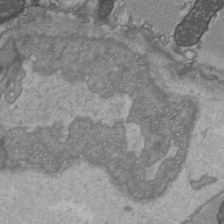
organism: C57BL Mouse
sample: Heart